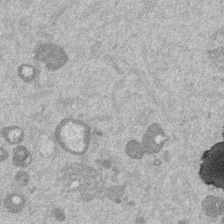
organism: Mouse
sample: Dividing mouse embryo 1 cell stage